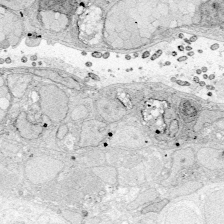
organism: Zebrafish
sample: Whole-Brain